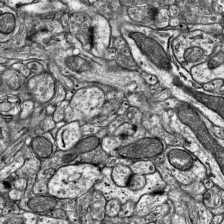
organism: Mouse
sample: Visual Cortex